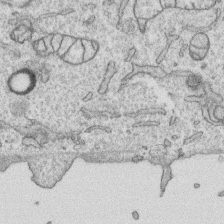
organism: Human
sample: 1205lu cells